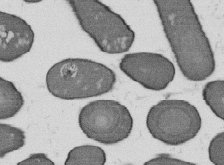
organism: B. subtilis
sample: Bacterial spore